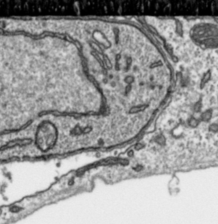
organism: Toxoplasma gondii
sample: Parasites in a vacuole inside a host cell